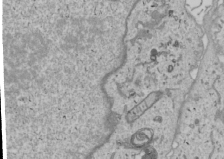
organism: Human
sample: Mitochondria in U2OS cells